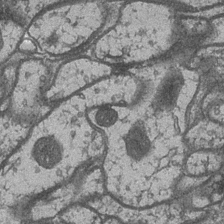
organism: Drosophila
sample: Optic medulla